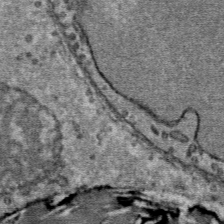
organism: Mouse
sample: Mouse Salivary gland